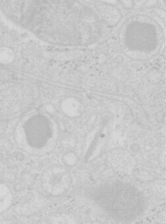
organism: Mouse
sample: Pancreas